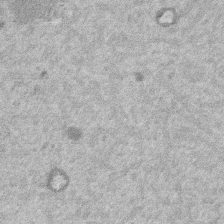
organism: Mouse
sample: Dividing mouse embryo 1 cell stage